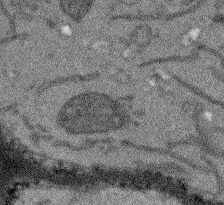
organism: Arabidopsis thaliana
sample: Root tip